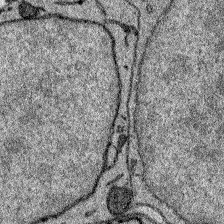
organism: Zebrafish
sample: Larval olfactory bulb